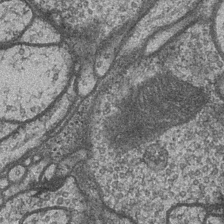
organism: Drosophila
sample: Optic medulla